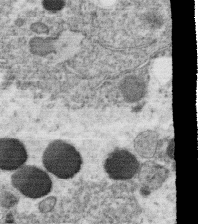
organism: C. elegans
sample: C. elegans oocyte; sperm cells